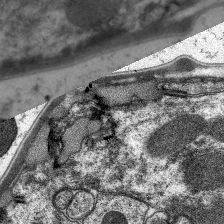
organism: C. elegans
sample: Pharynx